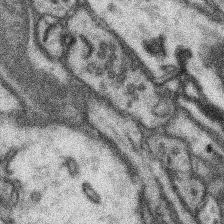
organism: Mouse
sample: Somatosensory cortex neuropil